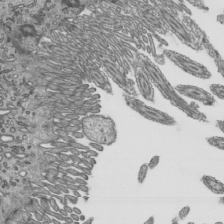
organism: Mouse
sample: Mouse epididymis efferent ductule cilia